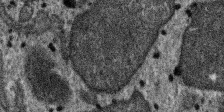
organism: Human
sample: Lung epithelial cells infected with SARS-CoV-2